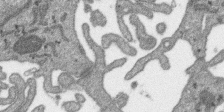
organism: Human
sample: Lung epithelial cells infected with SARS-CoV-2